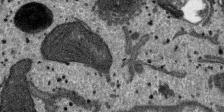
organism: Human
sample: Lung epithelial cells, uninfected (mock) control